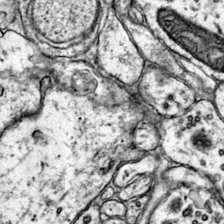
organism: Mouse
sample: Primary visual cortex